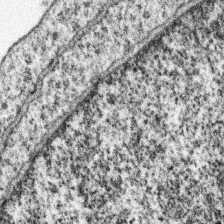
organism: Human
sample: HeLa cells